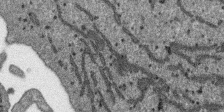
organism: Human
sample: Lung epithelial cells infected with SARS-CoV-2